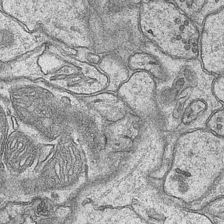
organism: Mouse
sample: CA1 Hippocampus